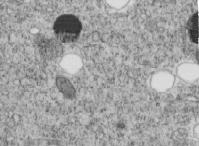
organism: C. elegans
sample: C. elegans embryo early stage